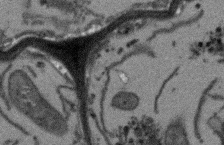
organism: Arabidopsis thaliana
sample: Root tip